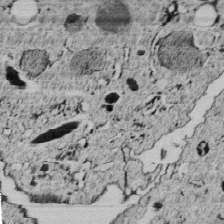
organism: C. elegans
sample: C. elegans embryo early stage